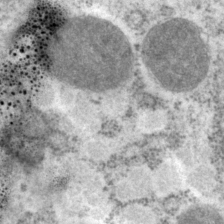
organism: P. pacificus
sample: Pharynx